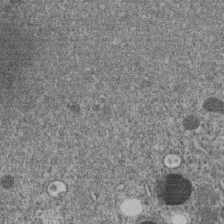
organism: C. elegans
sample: C. elegans embryo early stage